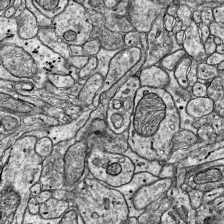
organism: Mouse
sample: Visual Cortex